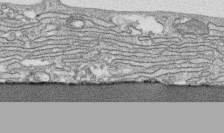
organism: Human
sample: CRL-1474